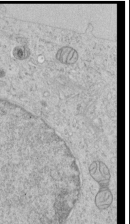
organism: Human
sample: Mitochondria in HCT116 cells